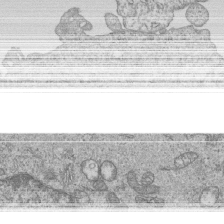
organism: Human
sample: MDA-MB-231 cells